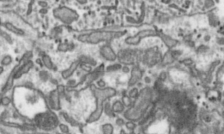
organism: Toxoplasma gondii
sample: Parasites in a vacuole inside a host cell